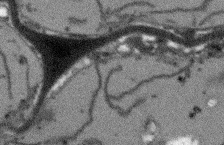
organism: Arabidopsis thaliana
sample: Root tip